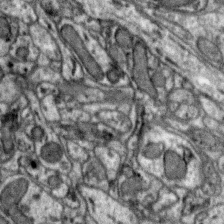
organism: Zebra finch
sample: Brain